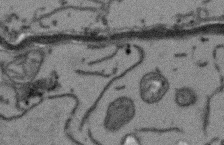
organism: Arabidopsis thaliana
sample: Root tip